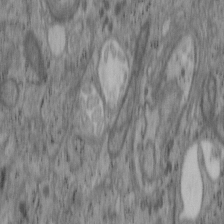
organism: Human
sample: HeLa cells